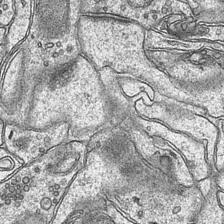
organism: Mouse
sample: CA1 Hippocampus